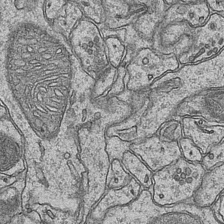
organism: Mouse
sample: CA1 Hippocampus